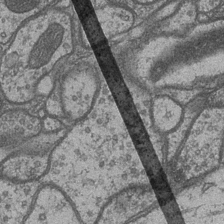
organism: Drosophila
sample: Optic medulla